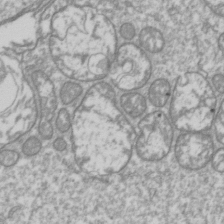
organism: Drosophila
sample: Cell division; meiosis; drosophila spermatocytes